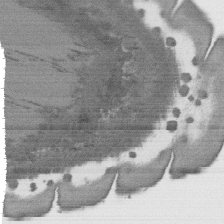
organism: C. elegans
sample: AFD neurons C. elegans